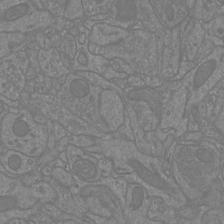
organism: Mouse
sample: Cortical neurons